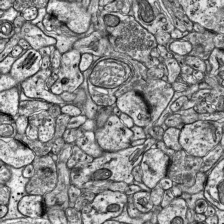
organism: Mouse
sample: Visual Cortex